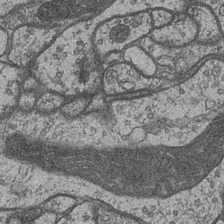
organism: Drosophila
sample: Optic medulla